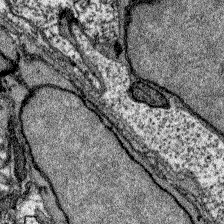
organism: Zebrafish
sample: Larval olfactory bulb